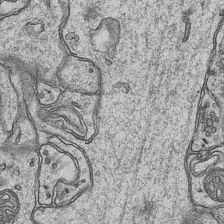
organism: Mouse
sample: CA1 Hippocampus